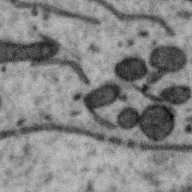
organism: Zebra finch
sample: Brain